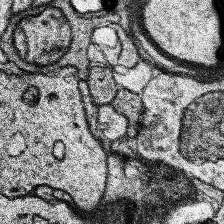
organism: Human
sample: Temporal Lobe